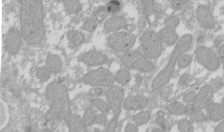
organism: Xenopus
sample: Cilia; centrioles in frog embryo cells